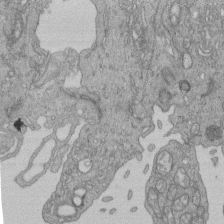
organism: Human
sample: Retinal organoid Rod and Cone cells